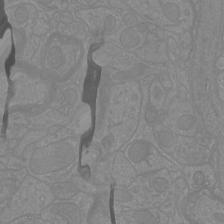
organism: Mouse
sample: Cortical neurons